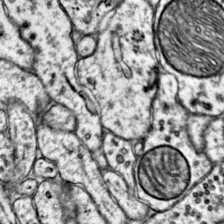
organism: Mouse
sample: Primary visual cortex